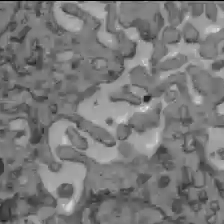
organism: C57BL Mouse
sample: Liver